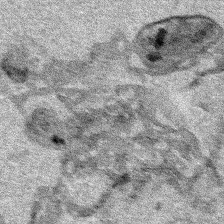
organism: Human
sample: Mitochondria in HCT116 cells